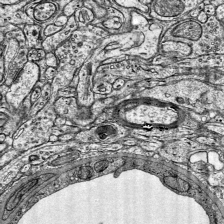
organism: Mouse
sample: Visual Cortex